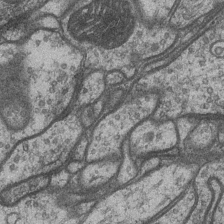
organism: Drosophila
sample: Optic medulla